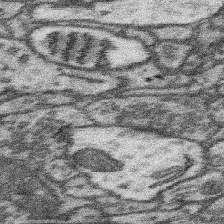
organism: Mouse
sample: Somatosensory cortex neuropil